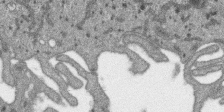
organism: Human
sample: Lung epithelial cells infected with SARS-CoV-2